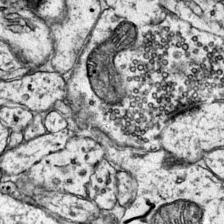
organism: Mouse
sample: Primary visual cortex